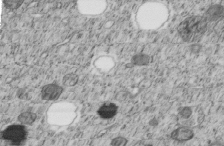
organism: C. elegans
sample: C. elegans embryo early stage